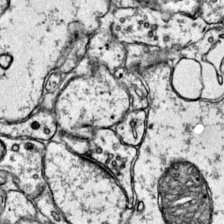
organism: Mouse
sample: Primary visual cortex